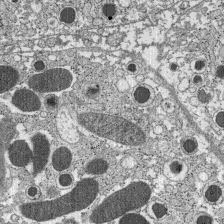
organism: C57BL Mouse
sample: Pancreatic islet